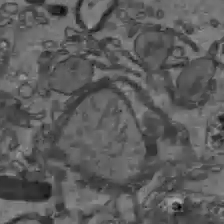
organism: C57BL Mouse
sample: Liver